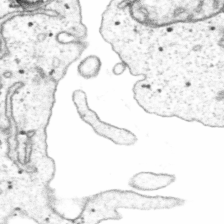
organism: Human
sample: HeLa cells